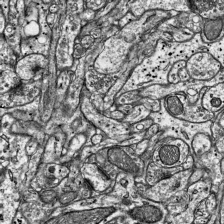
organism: Mouse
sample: Visual Cortex